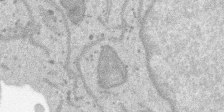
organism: Human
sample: Lung epithelial cells infected with SARS-CoV-2